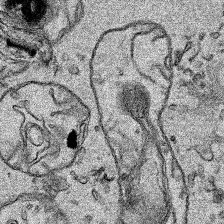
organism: Human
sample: Mitochondria in HCT116 cells